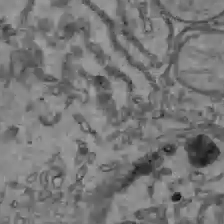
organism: C57BL Mouse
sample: Liver